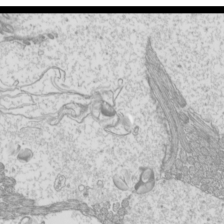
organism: Mouse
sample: Cilia; mouse epididymis